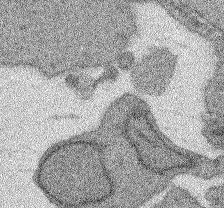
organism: Human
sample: HeLa cells